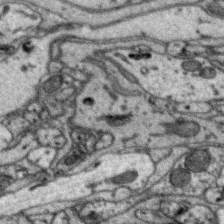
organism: Zebra finch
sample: Brain